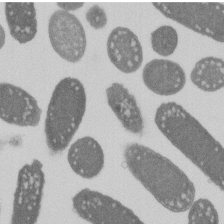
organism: E. coli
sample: Bacterial nucleoid